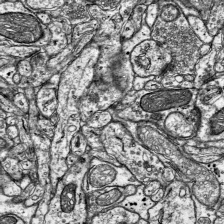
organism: Mouse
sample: Visual Cortex